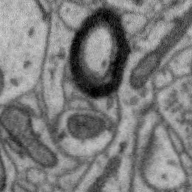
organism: Zebra finch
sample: Brain